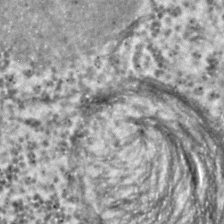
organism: C. elegans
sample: C. elegans embryo